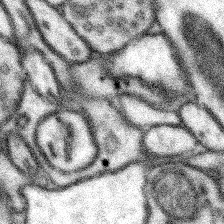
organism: Mouse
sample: Somatosensory cortex neuropil